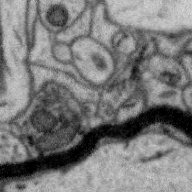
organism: Zebra finch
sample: Brain